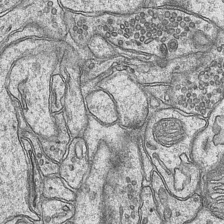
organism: Mouse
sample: CA1 Hippocampus